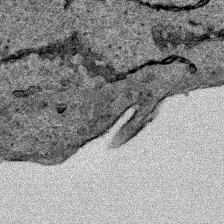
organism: Human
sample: Mitochondria in HCT116 cells